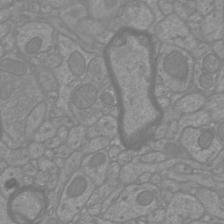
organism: Mouse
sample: Cortical neurons